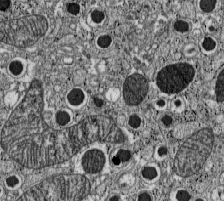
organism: C57BL Mouse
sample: Pancreatic islet